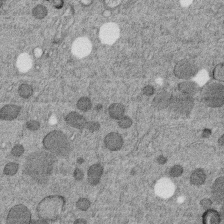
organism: C. elegans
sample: C. elegans embryo early stage